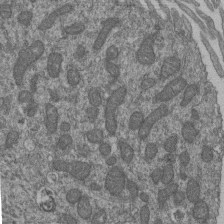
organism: Human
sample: Retinal organoid Rod and Cone cells